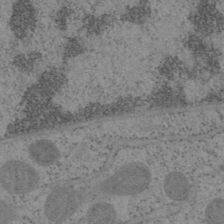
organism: Mouse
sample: OT-I killer T cells with ID8 ovarian cancer cells